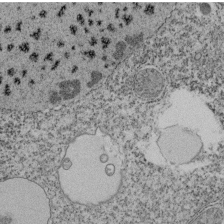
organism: Tetrahymena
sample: Cilia in tetrahymena